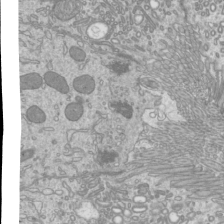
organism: Mouse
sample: Cilia; mouse epididymis